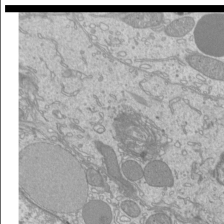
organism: Mouse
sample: Cilia; mouse epididymis